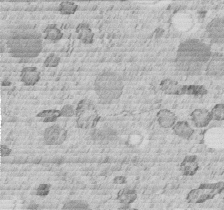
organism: C. elegans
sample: C. elegans embryo early stage